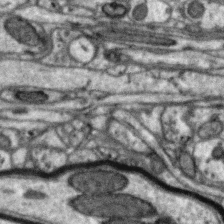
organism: Zebra finch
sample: Brain